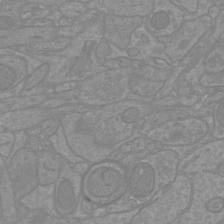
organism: Mouse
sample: Cortical neurons